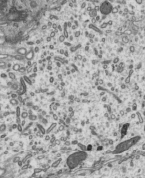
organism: Mouse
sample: Mouse epididymis efferent ductule cilia